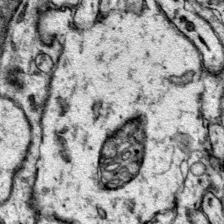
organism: Mouse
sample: Primary visual cortex